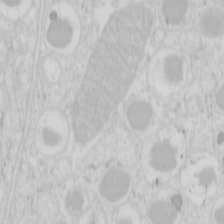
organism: Mouse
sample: Pancreas